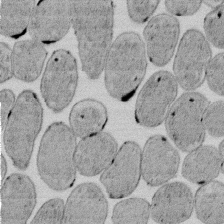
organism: E. coli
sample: Bacterial nucleoid